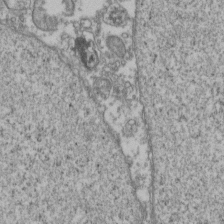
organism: Human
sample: Activated Jurkat CD4+ T cells